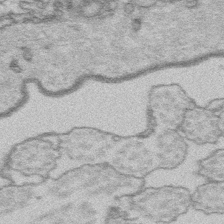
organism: Platynereis dumerilii